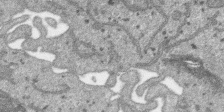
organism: Human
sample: Lung epithelial cells infected with SARS-CoV-2